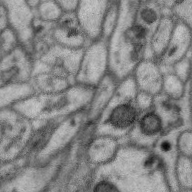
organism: Zebra finch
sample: Brain